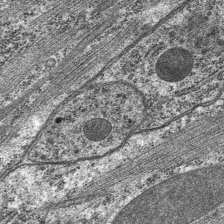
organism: C. elegans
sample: Pharynx